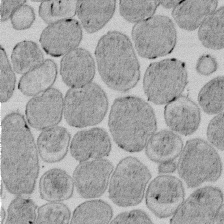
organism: E. coli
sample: Bacterial nucleoid